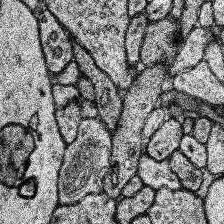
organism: Human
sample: Temporal Lobe